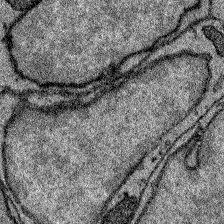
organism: Zebrafish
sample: Larval olfactory bulb